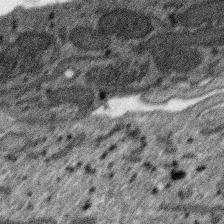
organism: Human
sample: Lung epithelial cells infected with SARS-CoV-2